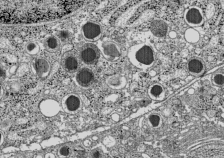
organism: C57BL Mouse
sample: Pancreatic islet